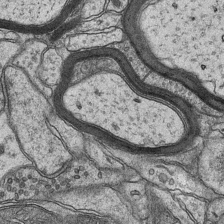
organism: Mouse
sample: CA1 Hippocampus